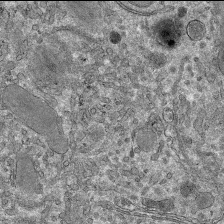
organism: Mouse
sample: Mouse hepatocytes